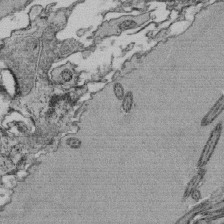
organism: Tetrahymena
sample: Cilia in tetrahymena